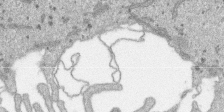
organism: Human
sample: Lung epithelial cells infected with SARS-CoV-2